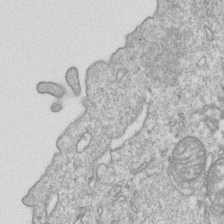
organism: Mouse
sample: Activated OT-1 CD8+ T cells